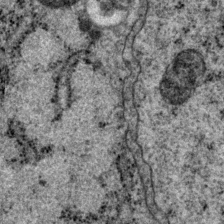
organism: P. pacificus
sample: Pharynx